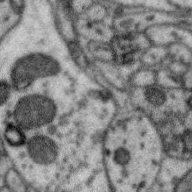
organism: Zebra finch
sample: Brain